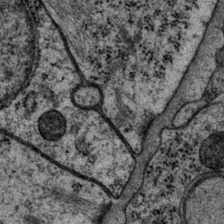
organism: P. pacificus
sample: Pharynx